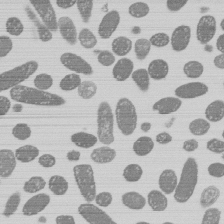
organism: E. coli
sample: Bacterial nucleoid